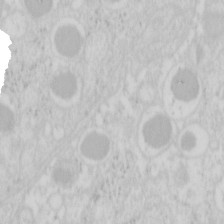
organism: Mouse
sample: Pancreas